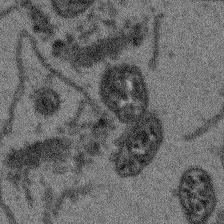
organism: Arabidopsis thaliana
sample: Root tip